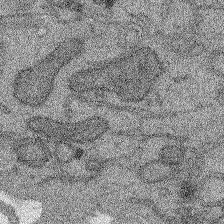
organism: Human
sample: HeLa cells